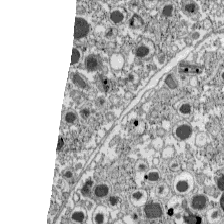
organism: C57BL Mouse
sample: Pancreatic islet